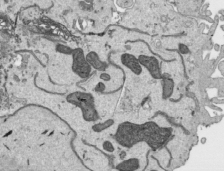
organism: Human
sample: Mitochondria in HCT116 cells